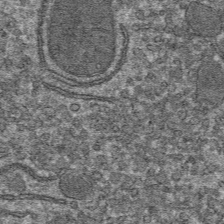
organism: Mouse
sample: Mouse hepatocytes